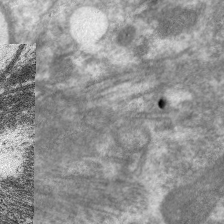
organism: C. elegans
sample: Pharynx